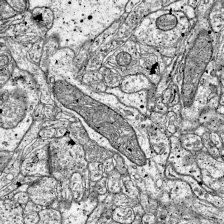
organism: Mouse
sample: Visual Cortex